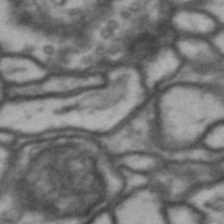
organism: Drosophila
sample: Brain